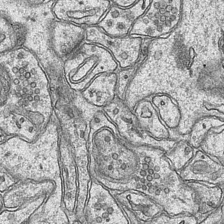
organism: Mouse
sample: CA1 Hippocampus